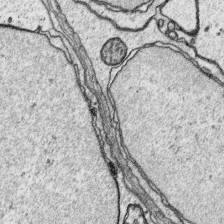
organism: Platynereis dumerilii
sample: Parapodia